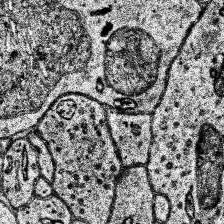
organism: Human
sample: Temporal Lobe